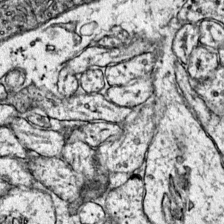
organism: Mouse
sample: Primary visual cortex